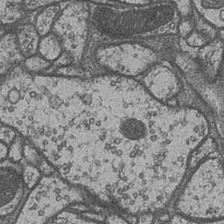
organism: Drosophila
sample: Optic medulla